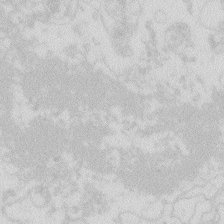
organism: Zebrafish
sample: Macrophage